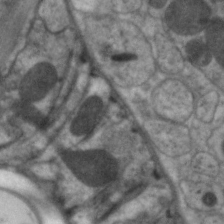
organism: C. elegans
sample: Pharynx